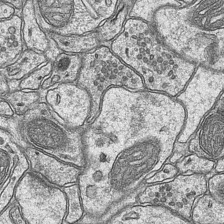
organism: Mouse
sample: CA1 Hippocampus